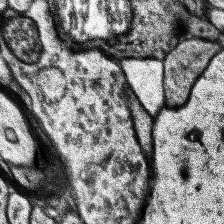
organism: Human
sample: Temporal Lobe